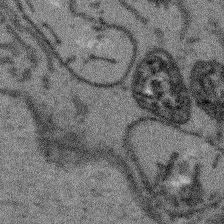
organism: Arabidopsis thaliana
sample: Root tip